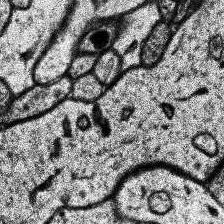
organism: Human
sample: Temporal Lobe